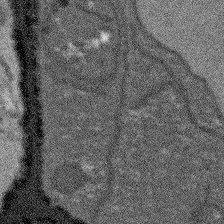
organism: Arabidopsis thaliana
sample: Root tip